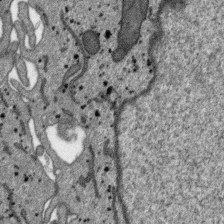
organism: Human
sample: Lung epithelial cells, uninfected (mock) control